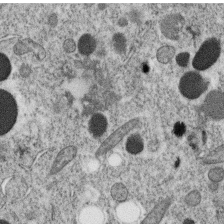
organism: C. elegans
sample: C. elegans oocyte; sperm cells